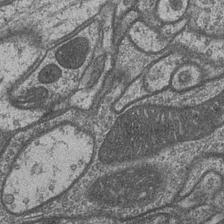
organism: Drosophila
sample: Optic medulla